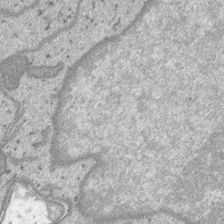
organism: Human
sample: Lung epithelial cells infected with SARS-CoV-2